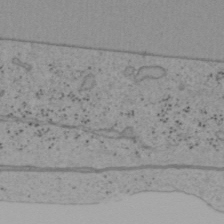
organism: Human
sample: HeLa cells